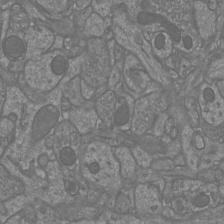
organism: Mouse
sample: Cortical neurons